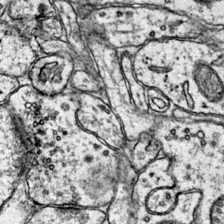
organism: Mouse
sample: Primary visual cortex